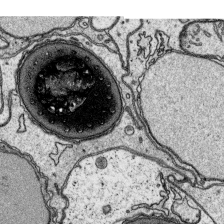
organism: Platynereis dumerilii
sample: Parapodia